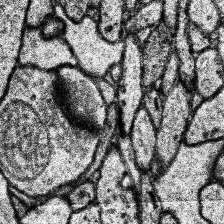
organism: Human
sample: Temporal Lobe